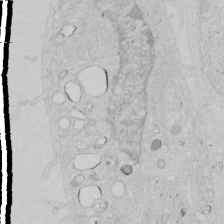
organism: Human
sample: Mitochondria in HCT116 cells